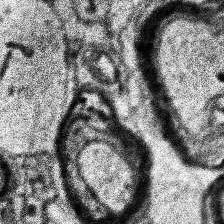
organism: Human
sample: Temporal Lobe